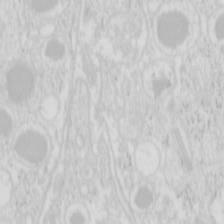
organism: Mouse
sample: Pancreas